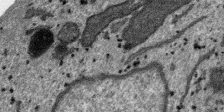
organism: Human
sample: Lung epithelial cells, uninfected (mock) control